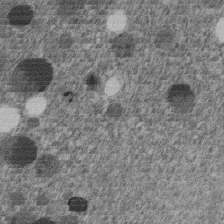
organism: C. elegans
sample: C. elegans embryo early stage